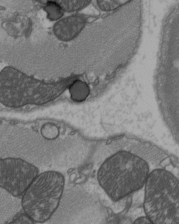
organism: C57BL Mouse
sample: Heart